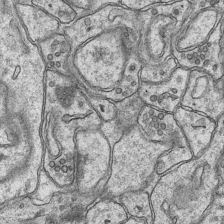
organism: Mouse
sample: CA1 Hippocampus